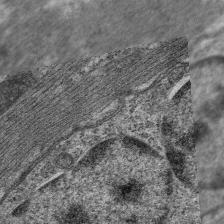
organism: C. elegans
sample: Pharynx